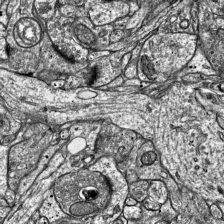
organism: Mouse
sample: Visual Cortex